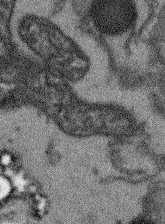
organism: Arabidopsis thaliana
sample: Root tip